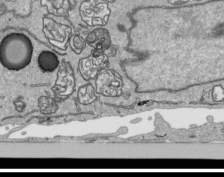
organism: Human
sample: Mitochondria in HCT116 cells